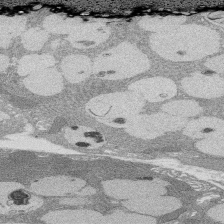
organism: Rat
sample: Salivary granule